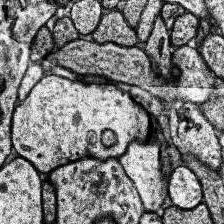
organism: Human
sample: Temporal Lobe